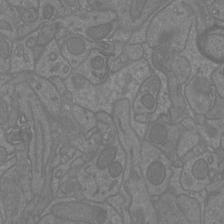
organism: Mouse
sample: Cortical neurons